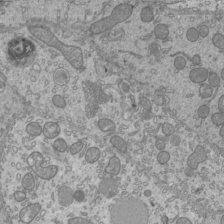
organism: Mouse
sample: Cilia; mouse epididymis